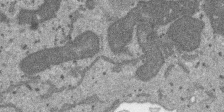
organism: Human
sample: Lung epithelial cells infected with SARS-CoV-2